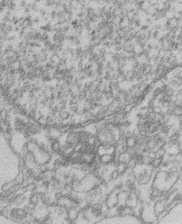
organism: Mouse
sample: T cell stromal cell synapse